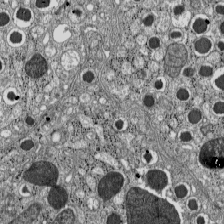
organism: C57BL Mouse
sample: Pancreatic islet